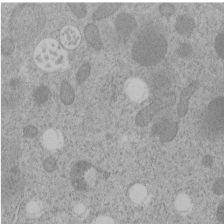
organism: C. elegans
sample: C. elegans embryo early stage